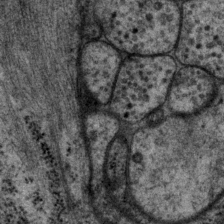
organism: P. pacificus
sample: Pharynx